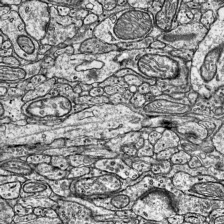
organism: Mouse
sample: Visual Cortex